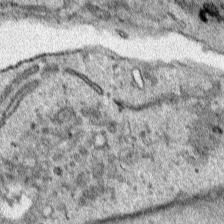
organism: Human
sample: Mitochondria in HCT116 cells